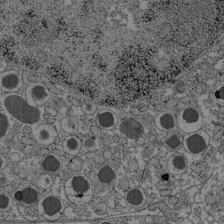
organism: C57BL Mouse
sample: Pancreatic islet